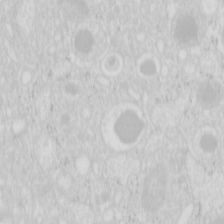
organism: Mouse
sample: Pancreas